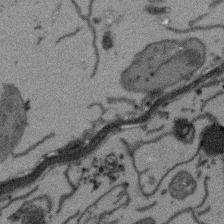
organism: Arabidopsis thaliana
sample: Root tip